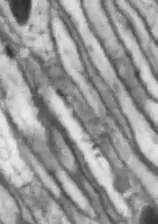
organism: Drosophila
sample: Optic lobe